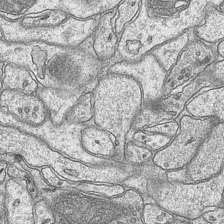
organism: Mouse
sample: CA1 Hippocampus